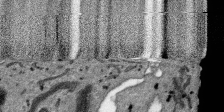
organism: Human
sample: Lung epithelial cells, uninfected (mock) control